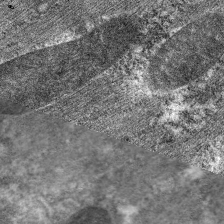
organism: C. elegans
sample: Pharynx